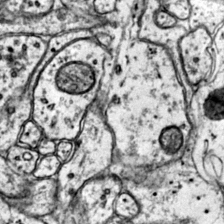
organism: Mouse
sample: Primary visual cortex